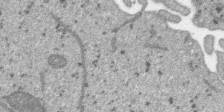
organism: Human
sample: Lung epithelial cells infected with SARS-CoV-2